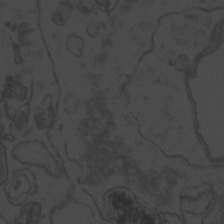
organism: Zebrafish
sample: Macrophage infected with Toxoplasma gondii